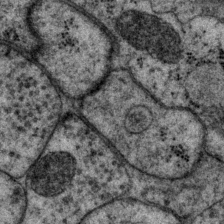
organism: P. pacificus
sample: Pharynx